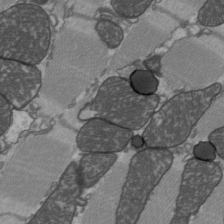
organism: C57BL Mouse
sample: Heart